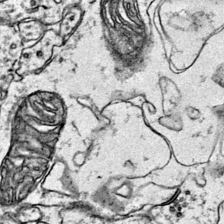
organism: Mouse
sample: Primary visual cortex